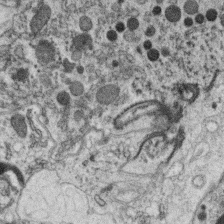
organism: C. elegans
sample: C. elegans oocyte; sperm cells